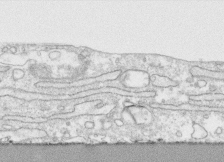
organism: Human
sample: CRL-1474